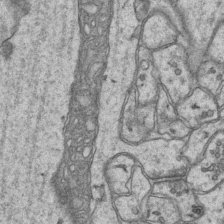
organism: Mouse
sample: CA1 Hippocampus